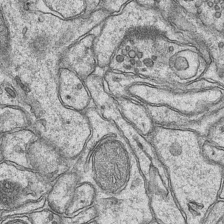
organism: Mouse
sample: CA1 Hippocampus